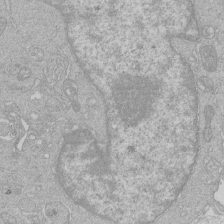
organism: Human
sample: Macrophage cells